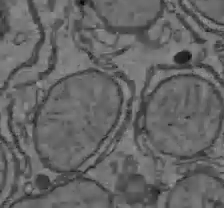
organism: C57BL Mouse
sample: Liver